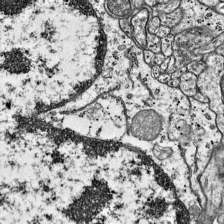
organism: Mouse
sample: Visual Cortex